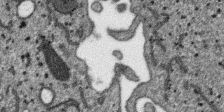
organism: Human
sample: Lung epithelial cells infected with SARS-CoV-2